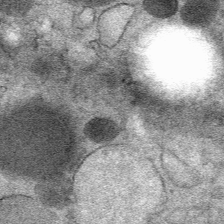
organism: Mouse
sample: Mouse Salivary gland